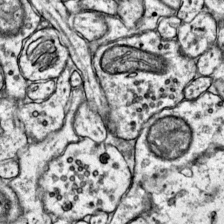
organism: Mouse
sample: Primary visual cortex